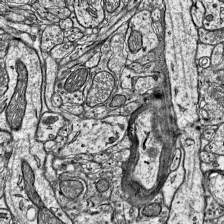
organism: Mouse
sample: Visual Cortex